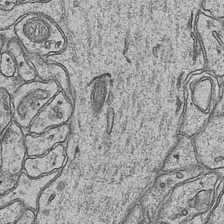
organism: Mouse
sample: CA1 Hippocampus